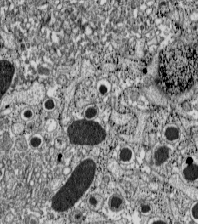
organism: C57BL Mouse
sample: Pancreatic islet